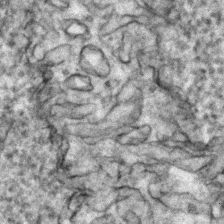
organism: Zebrafish